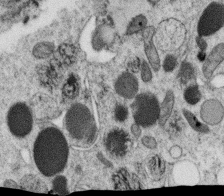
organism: C. elegans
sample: C. elegans oocyte; sperm cells